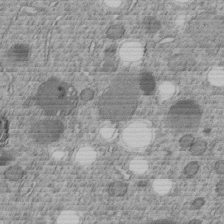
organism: C. elegans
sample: C. elegans embryo early stage